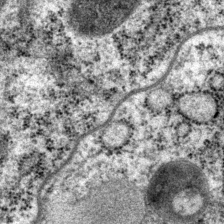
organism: P. pacificus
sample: Pharynx